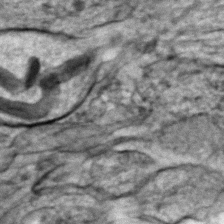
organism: Zebrafish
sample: Zebrafish embryo